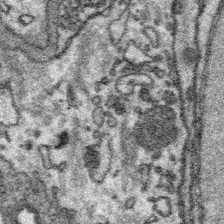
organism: Platynereis dumerilii